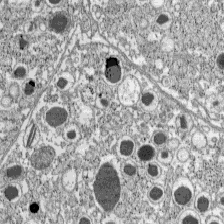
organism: C57BL Mouse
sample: Pancreatic islet